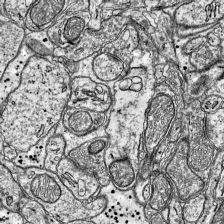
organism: Mouse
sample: Visual Cortex